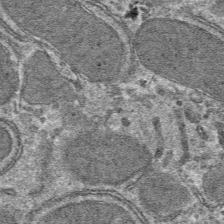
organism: Mouse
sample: Mouse hepatocytes